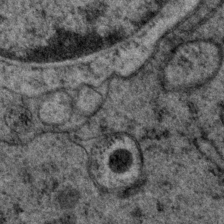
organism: P. pacificus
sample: Pharynx